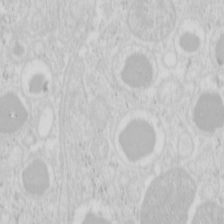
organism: Mouse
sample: Pancreas